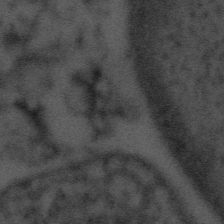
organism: Tuwongella immobilis